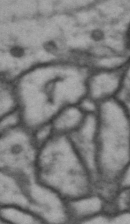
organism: Drosophila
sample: Brain